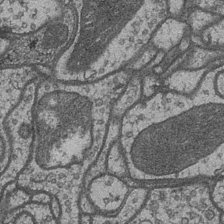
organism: Drosophila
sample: Optic medulla